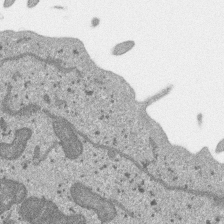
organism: Human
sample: Lung epithelial cells infected with SARS-CoV-2